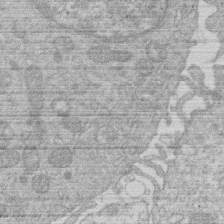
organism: Human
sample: Macrophage cells